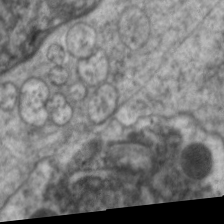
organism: C. elegans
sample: Pharynx